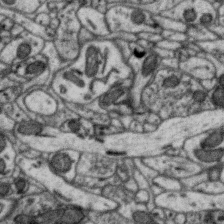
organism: Zebra finch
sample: Brain